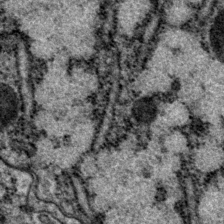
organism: P. pacificus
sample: Pharynx